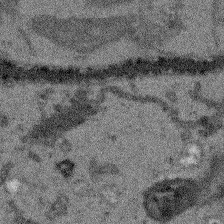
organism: Arabidopsis thaliana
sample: Root tip